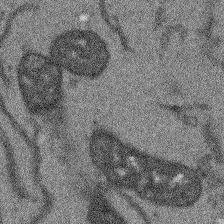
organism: Arabidopsis thaliana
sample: Root tip